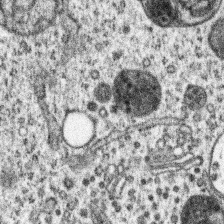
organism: Human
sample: HeLa cells